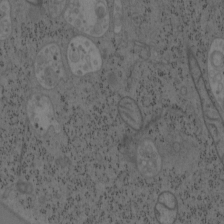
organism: Mouse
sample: OT-I killer T cells with ID8 ovarian cancer cells